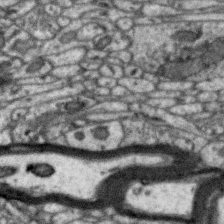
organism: Zebra finch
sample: Brain